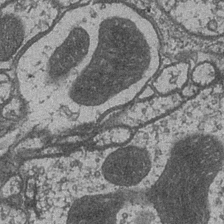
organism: Drosophila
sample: Optic medulla